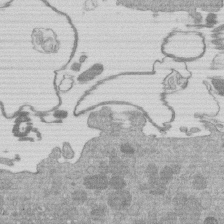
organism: Mouse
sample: Dividing mouse embryo 1 cell stage